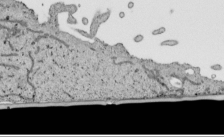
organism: Human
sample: Mitochondria in HCT116 cells